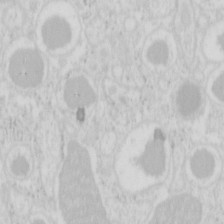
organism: Mouse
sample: Pancreas